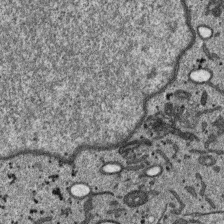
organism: Human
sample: Lung epithelial cells infected with SARS-CoV-2